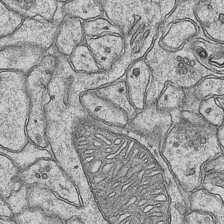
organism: Mouse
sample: CA1 Hippocampus